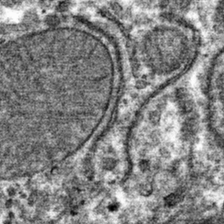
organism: Mouse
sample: Mouse hepatocytes